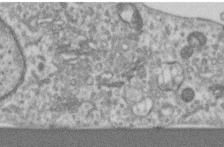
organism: Human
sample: Centriole in RPE cells